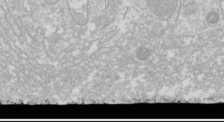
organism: Drosophila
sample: Cell division; meiosis; drosophila spermatocytes